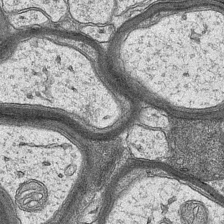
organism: Mouse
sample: CA1 Hippocampus